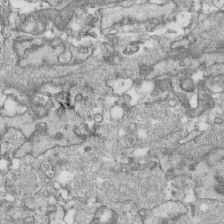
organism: Human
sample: CRL-1474